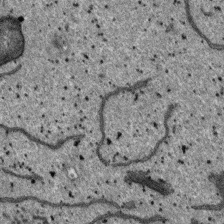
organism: Human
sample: Lung epithelial cells, uninfected (mock) control